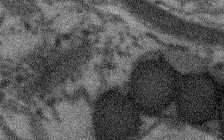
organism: Arabidopsis thaliana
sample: Root tip